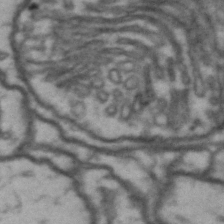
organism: Drosophila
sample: Brain